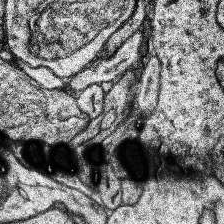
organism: Human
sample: Temporal Lobe